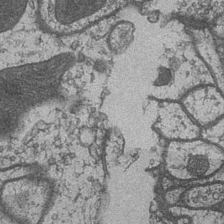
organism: Drosophila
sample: Optic medulla